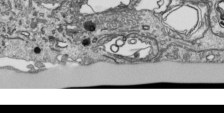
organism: Human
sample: Mitochondria in HCT116 cells